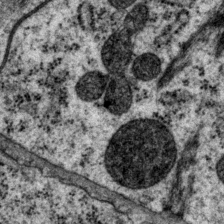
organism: P. pacificus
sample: Pharynx